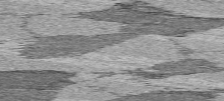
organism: C57BL Mouse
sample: Heart